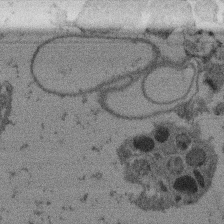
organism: Mouse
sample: Dividing mouse embryo 1 cell stage